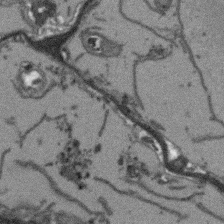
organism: Arabidopsis thaliana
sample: Root tip